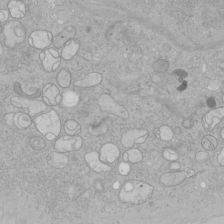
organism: Human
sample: Mitochondria in HCT116 cells